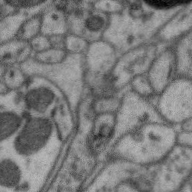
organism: Zebra finch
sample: Brain